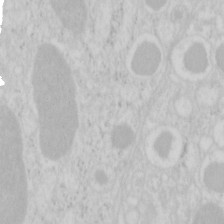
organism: Mouse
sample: Pancreas